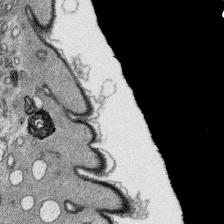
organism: Platynereis dumerilii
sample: Parapodia